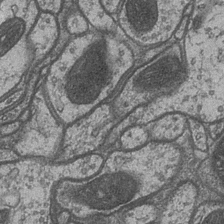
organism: Drosophila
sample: Optic medulla